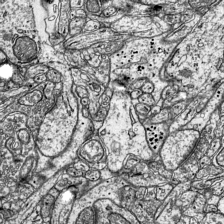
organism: Mouse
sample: Visual Cortex